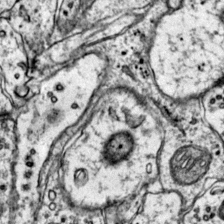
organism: Mouse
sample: Primary visual cortex